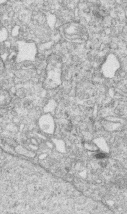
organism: Human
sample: HeLa cell HIV synapse